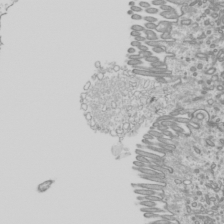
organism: Mouse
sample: Cilia; mouse epididymis